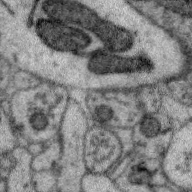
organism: Zebra finch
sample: Brain